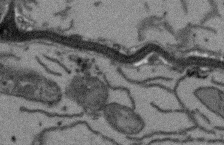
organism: Arabidopsis thaliana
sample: Root tip